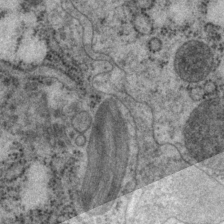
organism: P. pacificus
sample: Pharynx